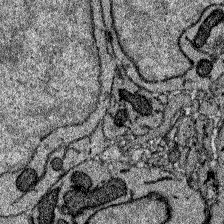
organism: Zebrafish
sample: Larval olfactory bulb